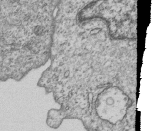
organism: Human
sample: MDA-MB-231 cells